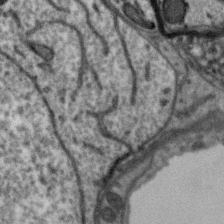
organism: Zebra finch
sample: Brain